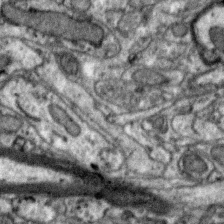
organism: Zebra finch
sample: Brain